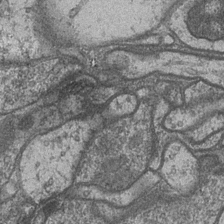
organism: Drosophila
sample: Optic medulla